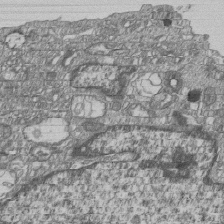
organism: Human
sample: MDA-MB-231 cells